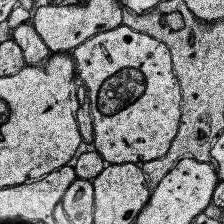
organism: Human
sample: Temporal Lobe